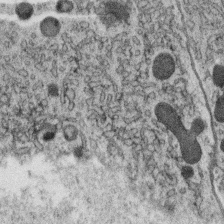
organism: C. elegans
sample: C. elegans oocyte; sperm cells